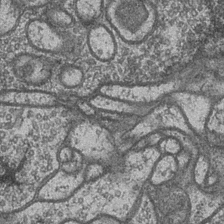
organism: Drosophila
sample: Optic medulla